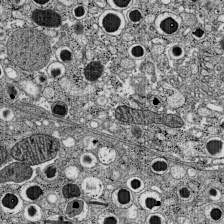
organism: C57BL Mouse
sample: Pancreatic islet